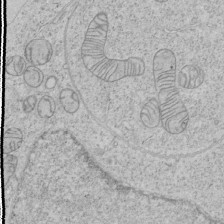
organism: Human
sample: Mitochondria in HCT116 cells